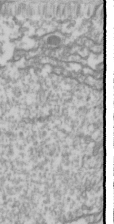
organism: Drosophila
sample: Cell division; meiosis; drosophila spermatocytes